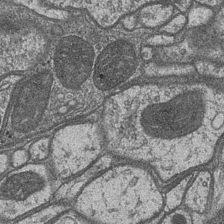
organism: Drosophila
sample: Optic medulla